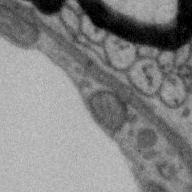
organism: Zebra finch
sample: Brain